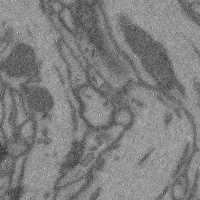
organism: Mouse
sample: Cerebral cortex